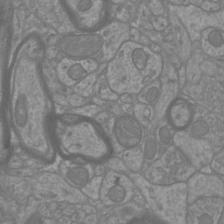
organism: Mouse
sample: Cortical neurons